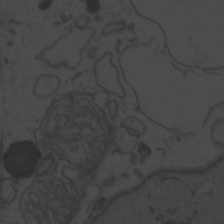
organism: Zebrafish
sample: Macrophage infected with Toxoplasma gondii